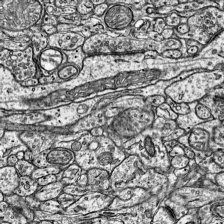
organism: Mouse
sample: Visual Cortex